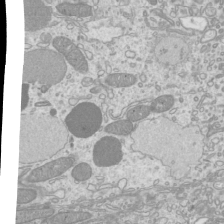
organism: Mouse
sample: Cilia; mouse epididymis